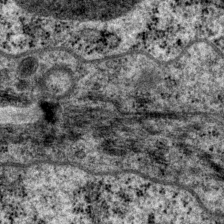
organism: P. pacificus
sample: Pharynx